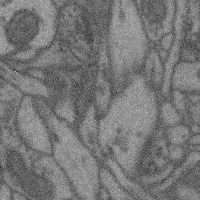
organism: Mouse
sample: Cerebral cortex